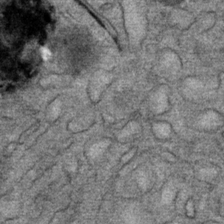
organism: Mouse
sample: Mouse Salivary gland